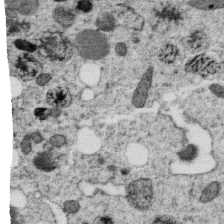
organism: C. elegans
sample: C. elegans oocyte; sperm cells